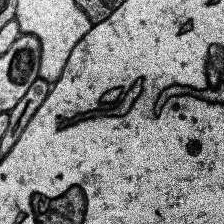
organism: Human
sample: Temporal Lobe